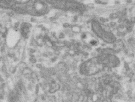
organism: Human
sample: Centriole in RPE cells